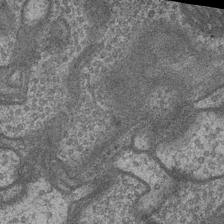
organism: Drosophila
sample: Optic medulla